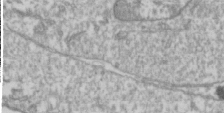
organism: Drosophila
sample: Cell division; meiosis; drosophila spermatocytes